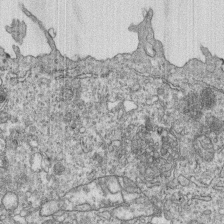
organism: Human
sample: HeLa cell HIV synapse